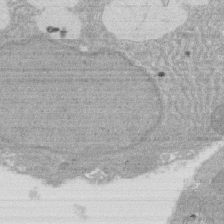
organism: Rat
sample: Salivary granule